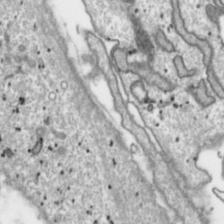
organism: Toxoplasma gondii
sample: Parasites in a vacuole inside a host cell